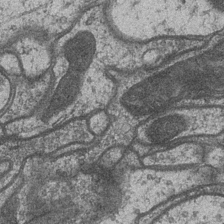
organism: Drosophila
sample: Optic medulla